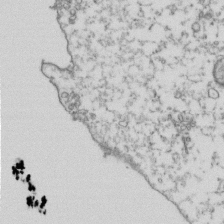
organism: Human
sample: Activated Jurkat CD4+ T cells